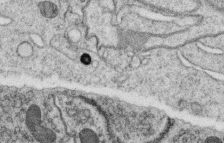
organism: C. elegans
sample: C. elegans oocyte; sperm cells